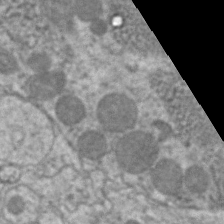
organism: C. elegans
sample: Pharynx